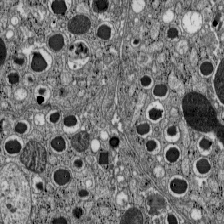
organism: C57BL Mouse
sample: Pancreatic islet